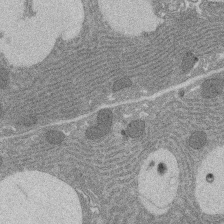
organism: Rat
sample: Salivary granule